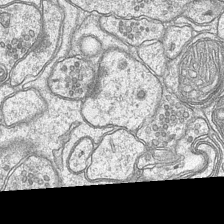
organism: Mouse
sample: CA1 Hippocampus